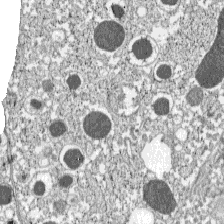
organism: C57BL Mouse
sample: Pancreatic islet